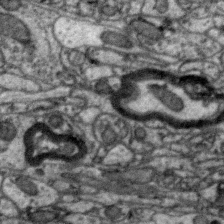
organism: Zebra finch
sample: Brain